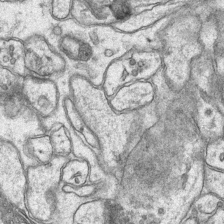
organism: Mouse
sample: CA1 Hippocampus